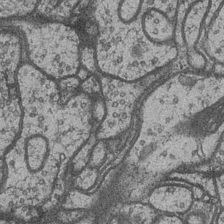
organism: Drosophila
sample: Optic medulla